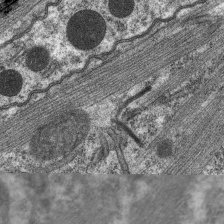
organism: C. elegans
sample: Pharynx